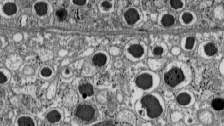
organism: C57BL Mouse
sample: Pancreatic islet